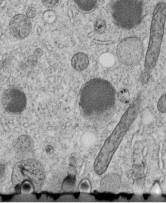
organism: C. elegans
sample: C. elegans embryo early stage